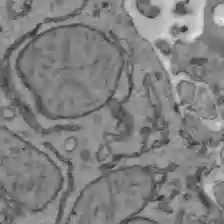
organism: C57BL Mouse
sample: Liver